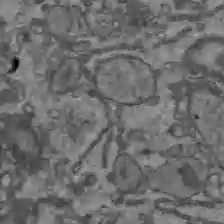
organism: C57BL Mouse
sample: Liver